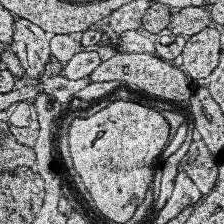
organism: Human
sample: Temporal Lobe